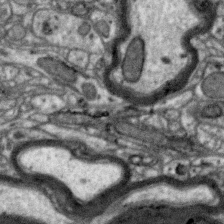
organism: Zebra finch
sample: Brain